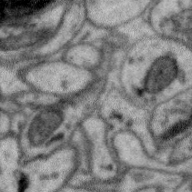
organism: Zebra finch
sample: Brain